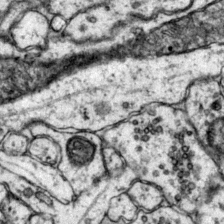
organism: Mouse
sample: Primary visual cortex